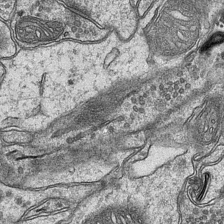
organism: Mouse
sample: CA1 Hippocampus